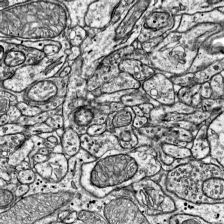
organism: Mouse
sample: Visual Cortex